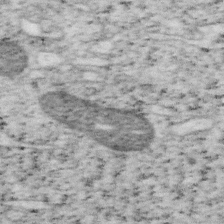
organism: Mouse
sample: OT-I killer T cells with ID8 ovarian cancer cells